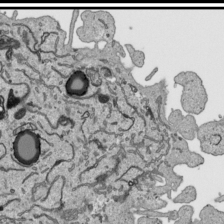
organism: Human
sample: Mitochondria in HCT116 cells